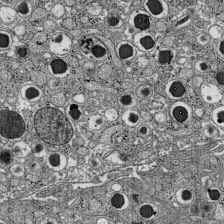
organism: C57BL Mouse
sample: Pancreatic islet